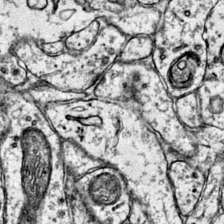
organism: Mouse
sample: Primary visual cortex